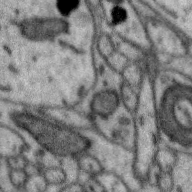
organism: Zebra finch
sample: Brain